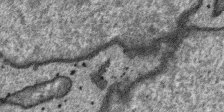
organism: Human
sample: Lung epithelial cells, uninfected (mock) control